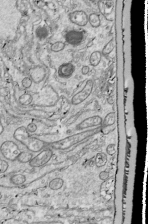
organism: Drosophila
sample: Cell division; meiosis; drosophila spermatocytes